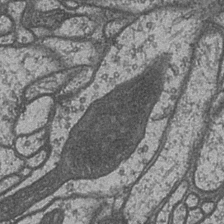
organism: Drosophila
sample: Optic medulla